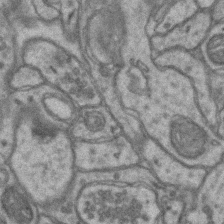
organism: Mouse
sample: CA1 Hippocampus